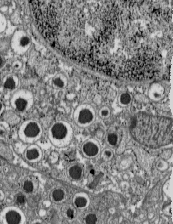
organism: C57BL Mouse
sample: Pancreatic islet